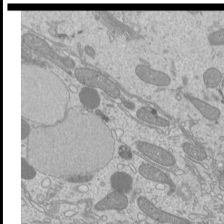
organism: Mouse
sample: Cilia; mouse epididymis